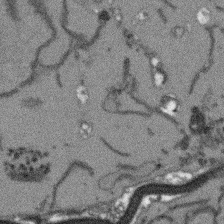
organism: Arabidopsis thaliana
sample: Root tip